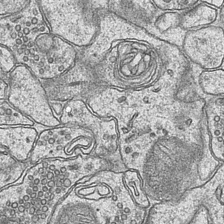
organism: Mouse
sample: CA1 Hippocampus